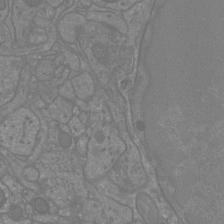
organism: Mouse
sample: Cortical neurons